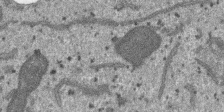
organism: Human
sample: Lung epithelial cells infected with SARS-CoV-2